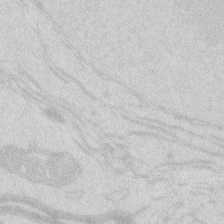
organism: Zebrafish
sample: Macrophage